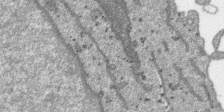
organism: Human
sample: Lung epithelial cells infected with SARS-CoV-2